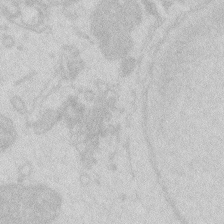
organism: Zebrafish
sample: Macrophage